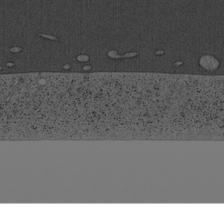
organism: African green monkey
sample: COS-7 cells